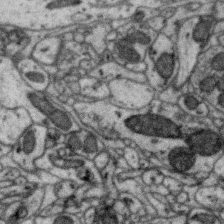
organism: Zebra finch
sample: Brain